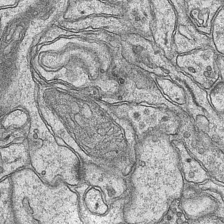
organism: Mouse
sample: CA1 Hippocampus